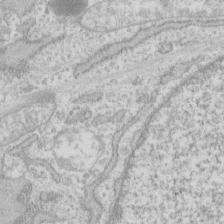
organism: Human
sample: Fibroblast cells